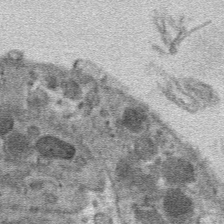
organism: Mouse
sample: Mouse hepatocytes